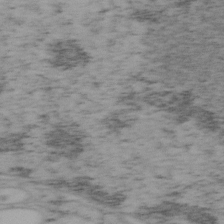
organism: Mouse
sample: OT-I killer T cells with ID8 ovarian cancer cells